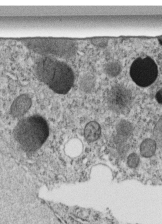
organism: C. elegans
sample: C. elegans embryo early stage